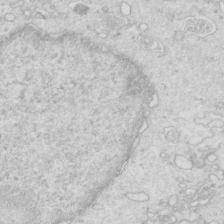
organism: Mouse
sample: Multiciliated cells